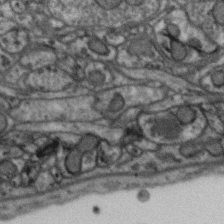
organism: Zebra finch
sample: Brain